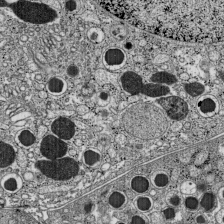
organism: C57BL Mouse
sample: Pancreatic islet